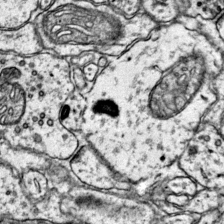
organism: Mouse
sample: Primary visual cortex